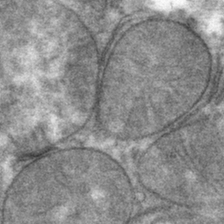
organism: Mouse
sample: Mouse hepatocytes